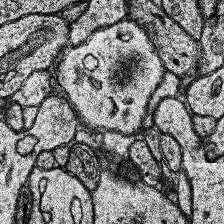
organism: Human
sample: Temporal Lobe